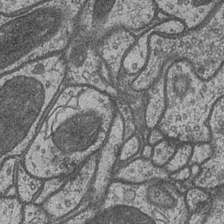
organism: Drosophila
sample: Optic medulla